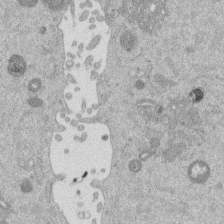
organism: Mouse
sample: Dividing mouse embryo 1 cell stage